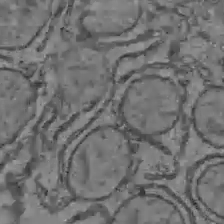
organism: C57BL Mouse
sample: Liver